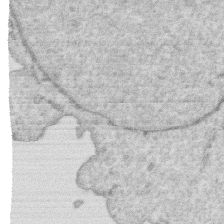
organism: Human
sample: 1205lu cells